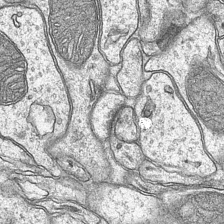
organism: Mouse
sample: CA1 Hippocampus